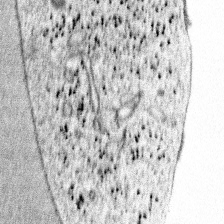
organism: Human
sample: HeLa cells